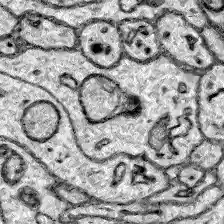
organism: Zebrafish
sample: Brain